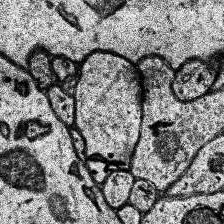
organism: Human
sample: Temporal Lobe